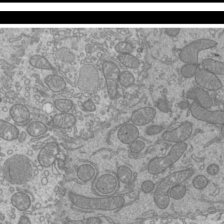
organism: Mouse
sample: Cilia; mouse epididymis